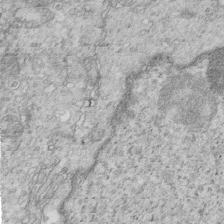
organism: Mouse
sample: Multiciliated cells